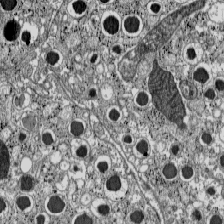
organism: C57BL Mouse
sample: Pancreatic islet